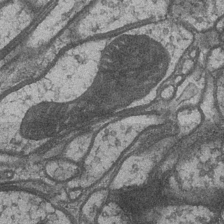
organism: Drosophila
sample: Optic medulla